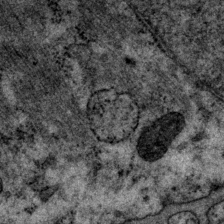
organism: P. pacificus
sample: Pharynx